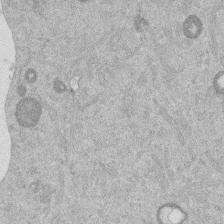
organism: Mouse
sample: Dividing mouse embryo 1 cell stage